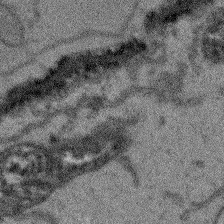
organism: Arabidopsis thaliana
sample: Root tip